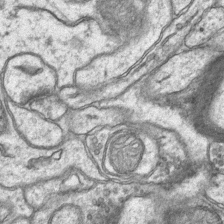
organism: Mouse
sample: CA1 Hippocampus